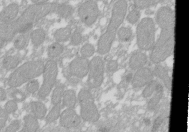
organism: Xenopus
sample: Cilia; centrioles in frog embryo cells